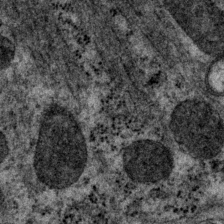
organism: P. pacificus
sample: Pharynx